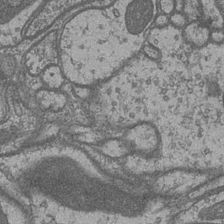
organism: Drosophila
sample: Optic medulla